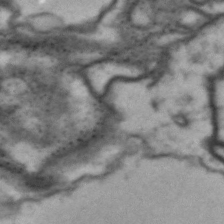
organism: Drosophila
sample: Brain